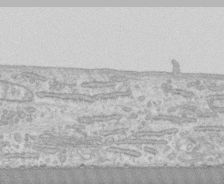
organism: Human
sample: CRL-1474